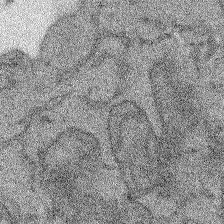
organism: Human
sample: HeLa cells